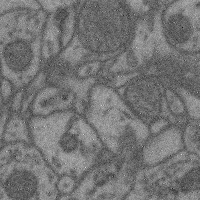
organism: Mouse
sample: Cerebral cortex